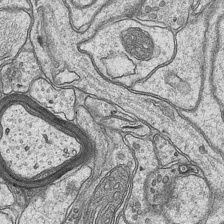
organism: Mouse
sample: CA1 Hippocampus